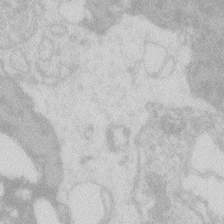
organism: Zebrafish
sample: Macrophage